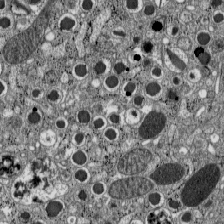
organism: C57BL Mouse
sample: Pancreatic islet